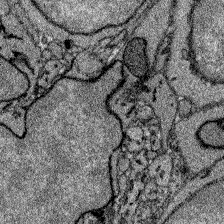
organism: Zebrafish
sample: Larval olfactory bulb